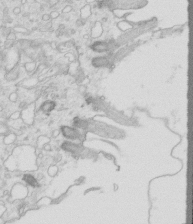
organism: Mouse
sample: Multiciliated cells